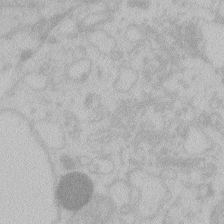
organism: Zebrafish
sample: Macrophage infected with Toxoplasma gondii